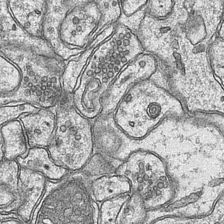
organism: Mouse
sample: CA1 Hippocampus